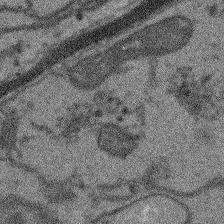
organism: Arabidopsis thaliana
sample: Root tip